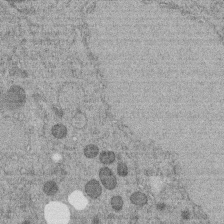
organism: C. elegans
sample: C. elegans embryo early stage